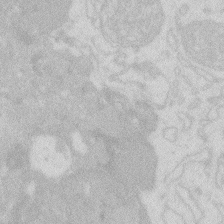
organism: Zebrafish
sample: Macrophage